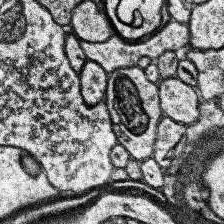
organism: Human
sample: Temporal Lobe